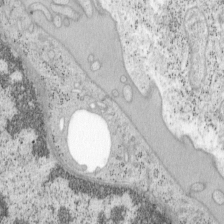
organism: Mouse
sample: OT-I killer T cells with ID8 ovarian cancer cells